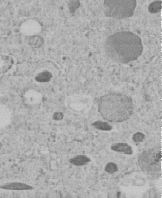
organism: C. elegans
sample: C. elegans embryo early stage